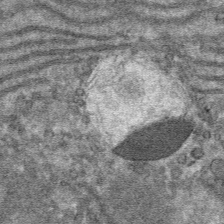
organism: Mouse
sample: Mouse hepatocytes